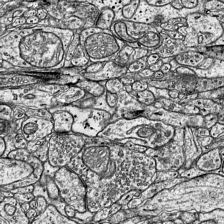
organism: Mouse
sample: Visual Cortex